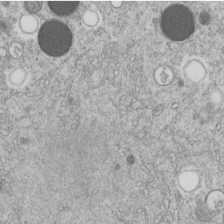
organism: C. elegans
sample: C. elegans embryo early stage